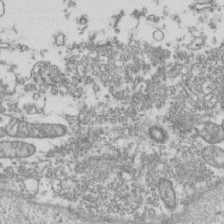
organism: Human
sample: Activated Jurkat CD4+ T cells